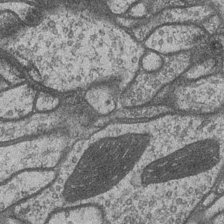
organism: Drosophila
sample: Optic medulla